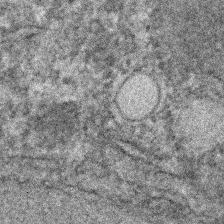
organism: C. elegans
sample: C. elegans embryo